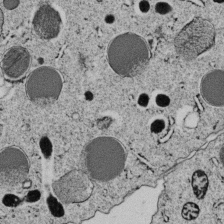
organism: C. elegans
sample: C. elegans embryo early stage